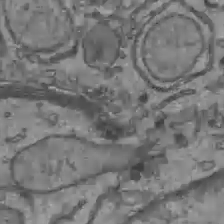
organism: C57BL Mouse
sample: Liver